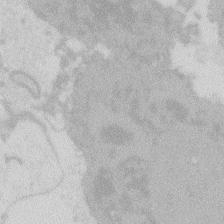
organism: Zebrafish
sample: Macrophage